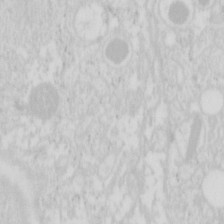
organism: Mouse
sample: Pancreas